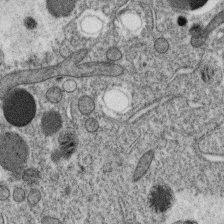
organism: C. elegans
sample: C. elegans oocyte; sperm cells